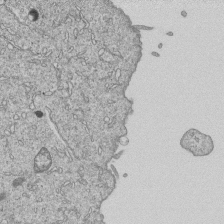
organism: Human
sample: MDA-MB-231 cells